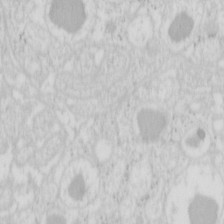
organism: Mouse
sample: Pancreas